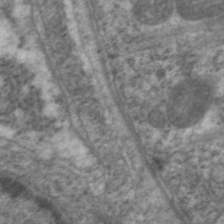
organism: C. elegans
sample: Pharynx